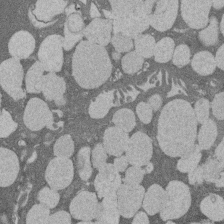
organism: Rat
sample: Salivary granule